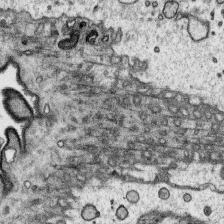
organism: Platynereis dumerilii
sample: Parapodia